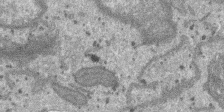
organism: Human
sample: Lung epithelial cells infected with SARS-CoV-2